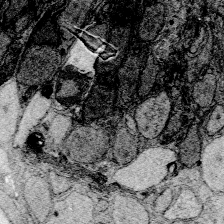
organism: Zebrafish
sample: Whole-Brain